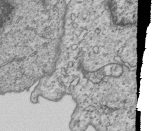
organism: Human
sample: MDA-MB-231 cells